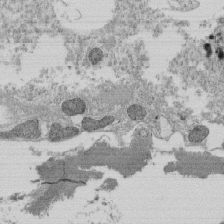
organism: Tetrahymena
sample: Cilia in tetrahymena